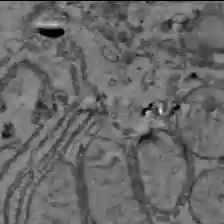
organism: C57BL Mouse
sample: Liver